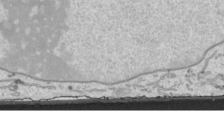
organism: Human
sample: Mitochondria in HCT116 cells